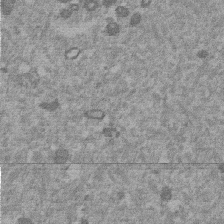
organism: Mouse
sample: Dividing mouse embryo 1 cell stage